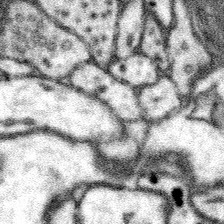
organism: Mouse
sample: Somatosensory cortex neuropil